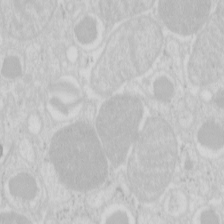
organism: Mouse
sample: Pancreas